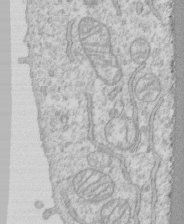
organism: Human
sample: CRL-1474